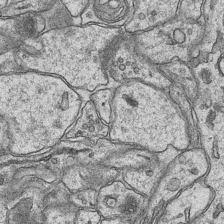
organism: Mouse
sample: CA1 Hippocampus